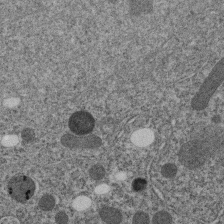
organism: C. elegans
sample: C. elegans embryo early stage